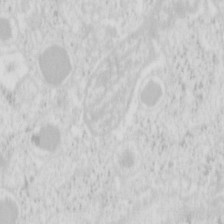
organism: Mouse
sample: Pancreas